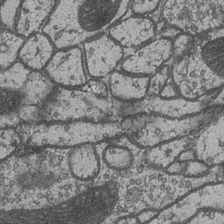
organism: Drosophila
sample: Optic medulla